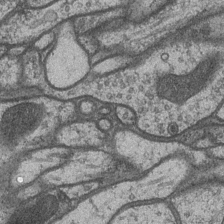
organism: Drosophila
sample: Optic medulla